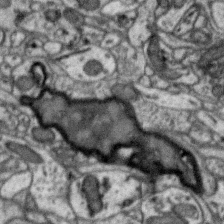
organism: Zebra finch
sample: Brain